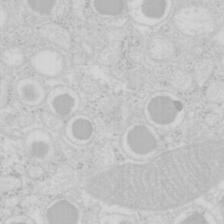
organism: Mouse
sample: Pancreas